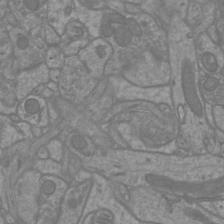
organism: Mouse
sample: Cortical neurons